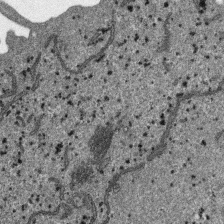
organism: Human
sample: Lung epithelial cells infected with SARS-CoV-2